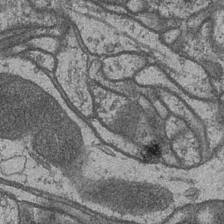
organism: Drosophila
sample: Optic medulla